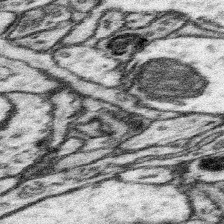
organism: Mouse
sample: Somatosensory cortex neuropil